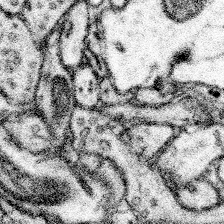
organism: Mouse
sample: Somatosensory cortex neuropil